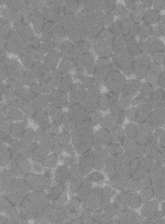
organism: C57BL Mouse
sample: Tibialis anterior muscle cell